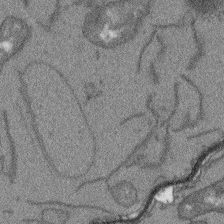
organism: Arabidopsis thaliana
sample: Root tip